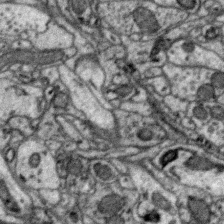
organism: Zebra finch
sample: Brain